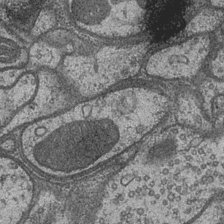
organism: Drosophila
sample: Optic medulla